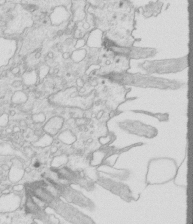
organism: Mouse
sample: Multiciliated cells